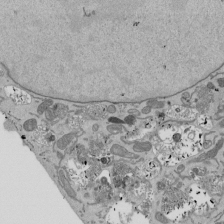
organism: Mouse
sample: ED-1 cell nuclei; centrioles